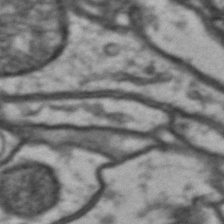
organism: Drosophila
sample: Brain